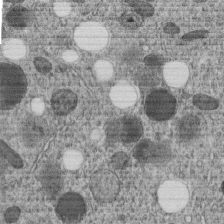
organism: C. elegans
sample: C. elegans embryo early stage